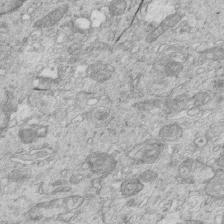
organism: Mouse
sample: Multiciliated cells